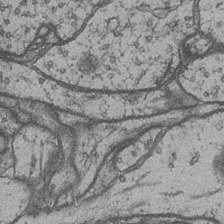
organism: Drosophila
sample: Optic medulla